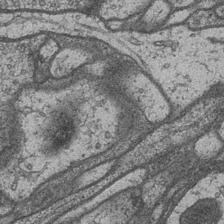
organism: Drosophila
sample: Optic medulla